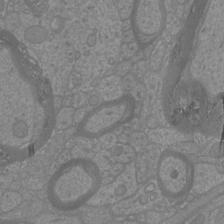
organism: Mouse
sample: Cortical neurons